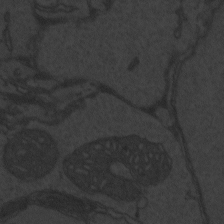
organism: Zebrafish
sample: Macrophage infected with Toxoplasma gondii